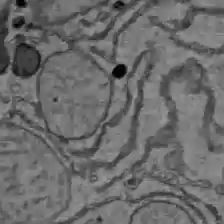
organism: C57BL Mouse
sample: Liver